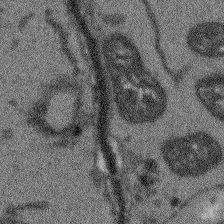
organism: Arabidopsis thaliana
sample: Root tip